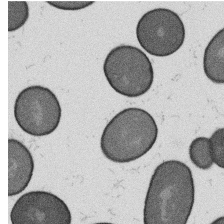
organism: B. subtilis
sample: Bacterial spore